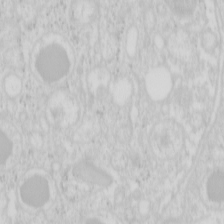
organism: Mouse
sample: Pancreas